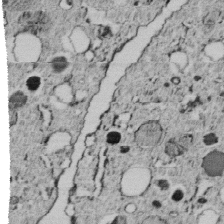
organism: C. elegans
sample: C. elegans embryo early stage